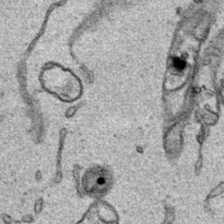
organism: Human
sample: Mitochondria in HCT116 cells